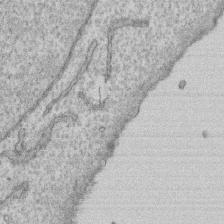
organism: Human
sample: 1205lu cells